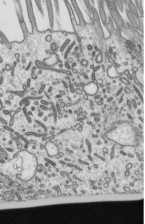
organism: Mouse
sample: Mouse epididymis efferent ductule cilia